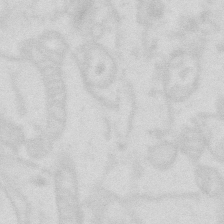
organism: Human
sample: HeLa cells